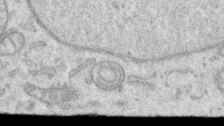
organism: Human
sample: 1205lu cells